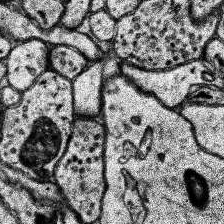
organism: Human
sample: Temporal Lobe